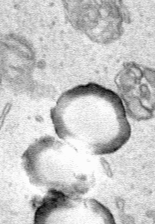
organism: Human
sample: Mitochondria in HCT116 cells